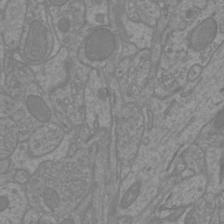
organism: Mouse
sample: Cortical neurons